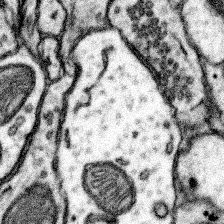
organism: Mouse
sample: Somatosensory cortex neuropil